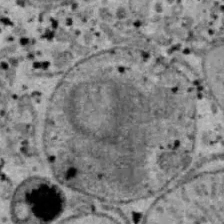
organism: Mouse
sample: Liver from an obese (ob/ob) mouse